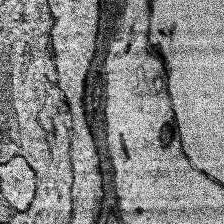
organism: Human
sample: Temporal Lobe